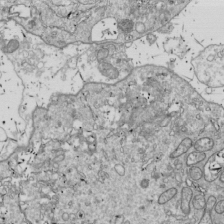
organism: Drosophila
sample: Cell division; meiosis; drosophila spermatocytes